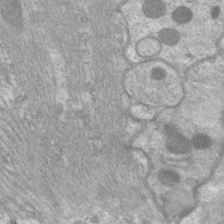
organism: C. elegans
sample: Pharynx